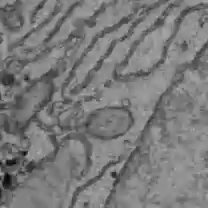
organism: C57BL Mouse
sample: Liver